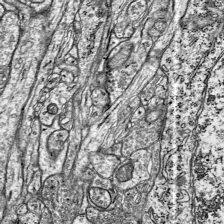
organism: Mouse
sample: Visual Cortex